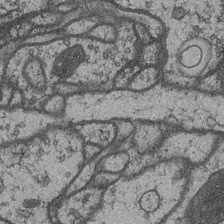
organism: Drosophila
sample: Optic medulla